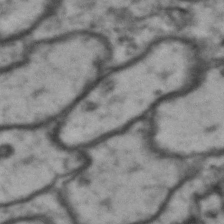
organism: Drosophila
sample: Brain